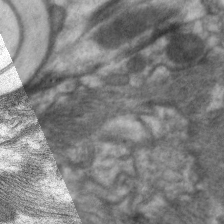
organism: C. elegans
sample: Pharynx